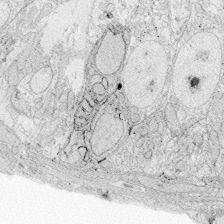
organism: Zebrafish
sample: Whole-Brain